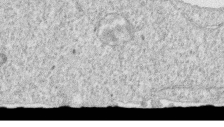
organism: Human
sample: HeLa cell HIV synapse